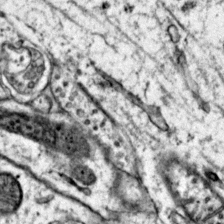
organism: Mouse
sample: Primary visual cortex